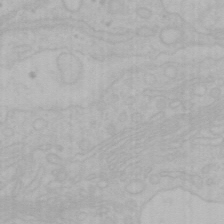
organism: Mouse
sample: Choroid plexus